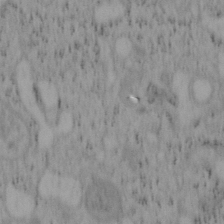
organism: Mouse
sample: OT-I killer T cells with ID8 ovarian cancer cells